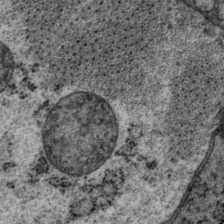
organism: P. pacificus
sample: Pharynx